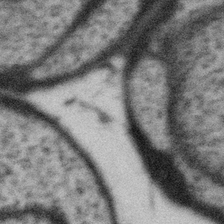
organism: Gemmata obscuriglobus